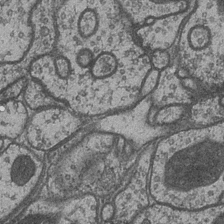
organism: Drosophila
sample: Optic medulla